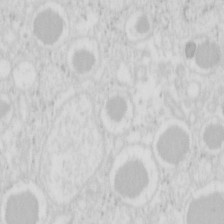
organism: Mouse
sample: Pancreas